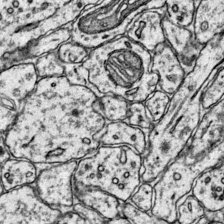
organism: Mouse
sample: Primary visual cortex